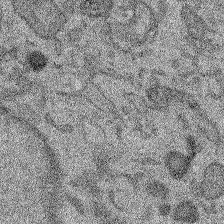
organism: Human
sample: HeLa cells